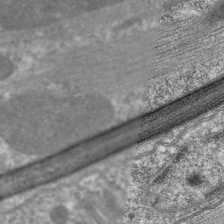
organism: C. elegans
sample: Pharynx